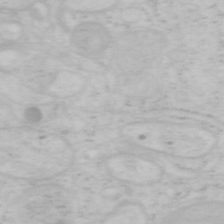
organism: Mouse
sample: OT-I killer T cells with ID8 ovarian cancer cells